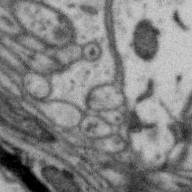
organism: Zebra finch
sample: Brain